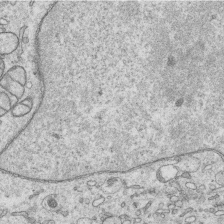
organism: Human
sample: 1205lu cells